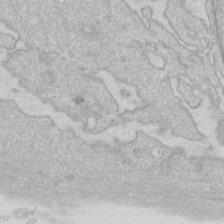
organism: Human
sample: Fibroblast cells